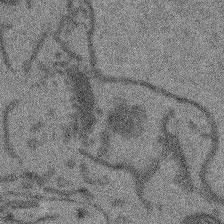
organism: Arabidopsis thaliana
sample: Root tip